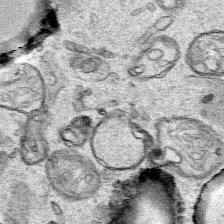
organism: Human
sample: Mitochondria in HCT116 cells